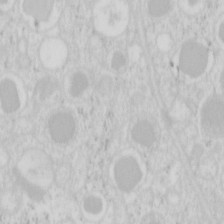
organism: Mouse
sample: Pancreas